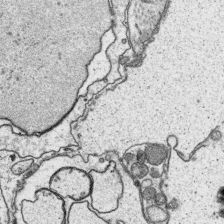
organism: Platynereis dumerilii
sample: Parapodia